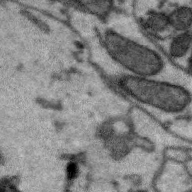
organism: Zebra finch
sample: Brain